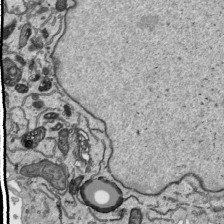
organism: Human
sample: Mitochondria in HCT116 cells